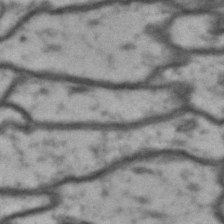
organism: Drosophila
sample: Brain